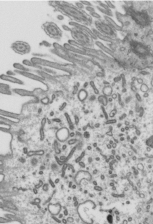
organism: Mouse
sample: Mouse epididymis efferent ductule cilia